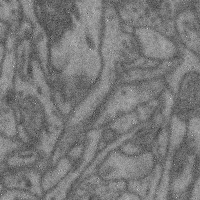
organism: Mouse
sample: Cerebral cortex